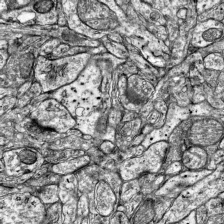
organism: Mouse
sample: Visual Cortex